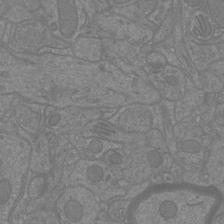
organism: Mouse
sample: Cortical neurons